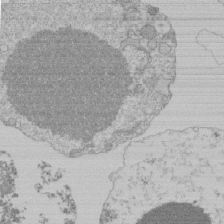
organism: Mouse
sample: Activated Pmel transgenic CD8+ T Cells